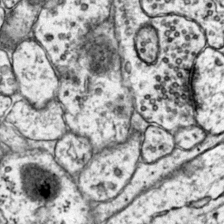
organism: Mouse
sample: Primary visual cortex